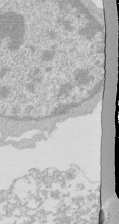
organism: Mouse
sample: Activated Pmel transgenic CD8+ T Cells